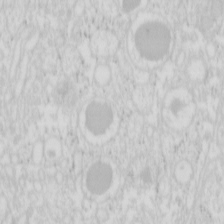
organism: Mouse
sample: Pancreas